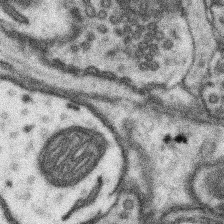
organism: Mouse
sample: Somatosensory cortex neuropil